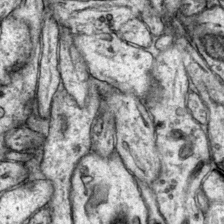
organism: Mouse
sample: Primary visual cortex